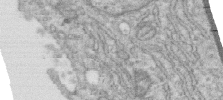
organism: Human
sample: Centriole in RPE cells